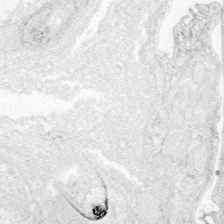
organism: Zebrafish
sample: Whole-Brain